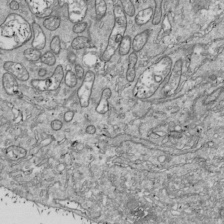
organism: Drosophila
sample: Cell division; meiosis; drosophila spermatocytes